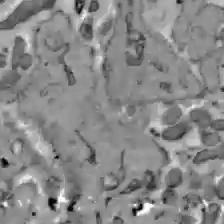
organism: C57BL Mouse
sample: Liver